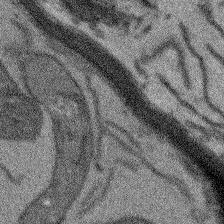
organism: Arabidopsis thaliana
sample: Root tip